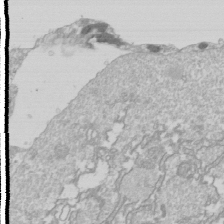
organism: Drosophila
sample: Cell division; meiosis; drosophila spermatocytes